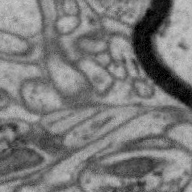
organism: Zebra finch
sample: Brain